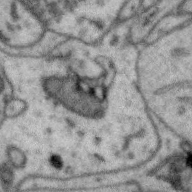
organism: Zebra finch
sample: Brain